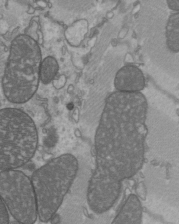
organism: C57BL Mouse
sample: Heart